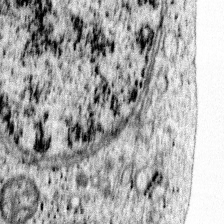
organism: Human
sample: HeLa cells